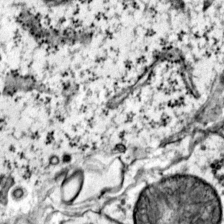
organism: Mouse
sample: Primary visual cortex